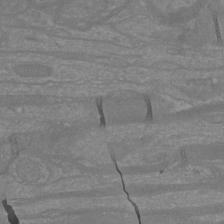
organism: Mouse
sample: Cortical neurons